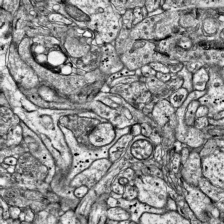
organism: Mouse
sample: Visual Cortex